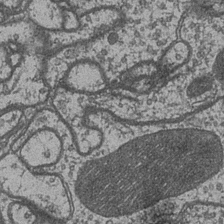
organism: Drosophila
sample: Optic medulla